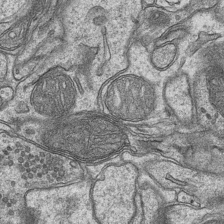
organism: Mouse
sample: CA1 Hippocampus